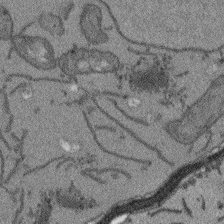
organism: Arabidopsis thaliana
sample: Root tip